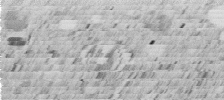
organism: C. elegans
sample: C. elegans embryo early stage